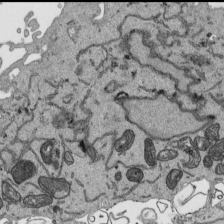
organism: Human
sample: Mitochondria in HCT116 cells